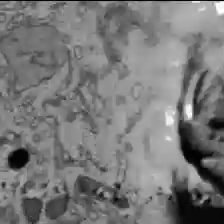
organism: C57BL Mouse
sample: Liver